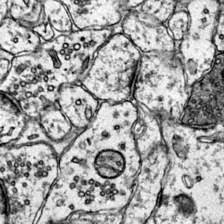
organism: Mouse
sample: Primary visual cortex